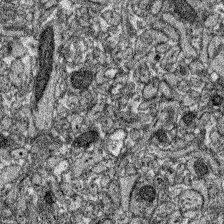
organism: Zebrafish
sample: Larval olfactory bulb